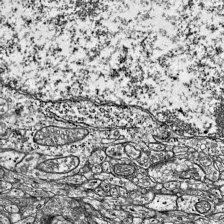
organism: Mouse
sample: Visual Cortex